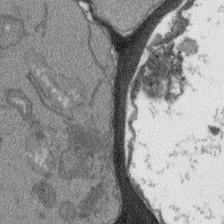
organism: Arabidopsis thaliana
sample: Root tip